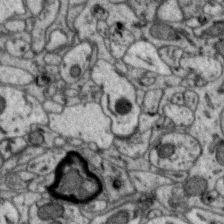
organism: Zebra finch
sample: Brain